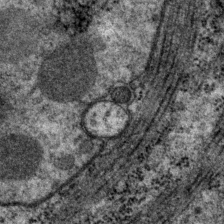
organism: P. pacificus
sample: Pharynx